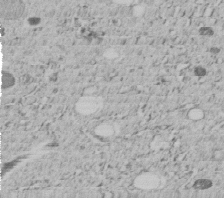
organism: C. elegans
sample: C. elegans embryo early stage